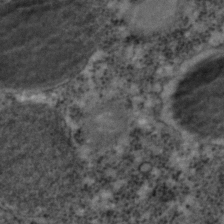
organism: C. elegans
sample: C. elegans embryo